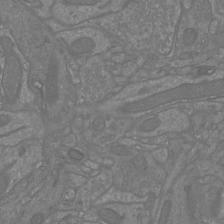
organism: Mouse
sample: Cortical neurons